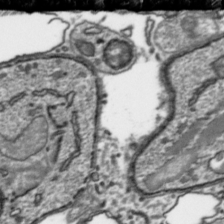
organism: Toxoplasma gondii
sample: Parasites in a vacuole inside a host cell